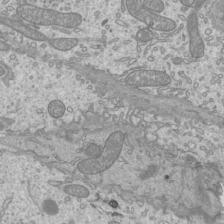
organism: Mouse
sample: Cilia; mouse epididymis